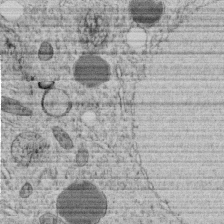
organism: C. elegans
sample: C. elegans embryo early stage